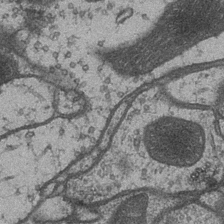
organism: Drosophila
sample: Optic medulla